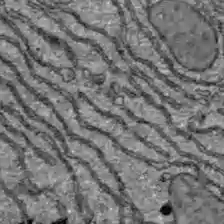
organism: C57BL Mouse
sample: Liver